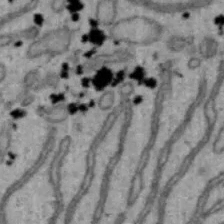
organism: Mouse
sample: Liver